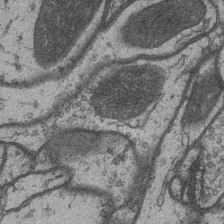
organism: Drosophila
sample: Optic medulla